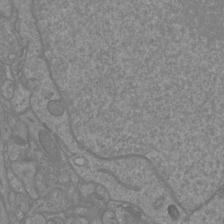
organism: Mouse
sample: Cortical neurons